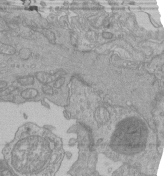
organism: Human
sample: Retinal organoid Rod and Cone cells